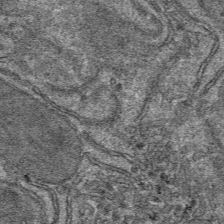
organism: Mouse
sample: Mouse hepatocytes